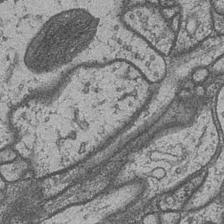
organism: Drosophila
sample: Optic medulla